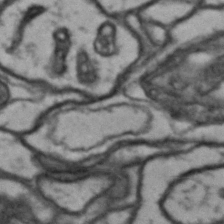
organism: Drosophila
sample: Brain